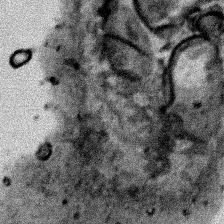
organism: Human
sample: Mitochondria in HCT116 cells